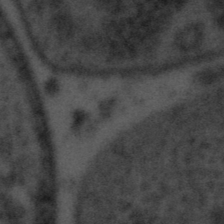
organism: Tuwongella immobilis